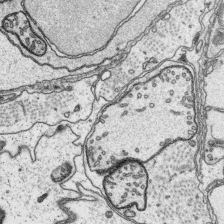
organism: Platynereis dumerilii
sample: Parapodia